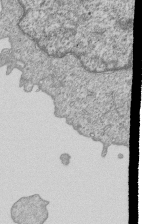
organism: Human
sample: MDA-MB-231 cells